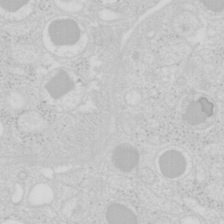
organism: Mouse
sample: Pancreas